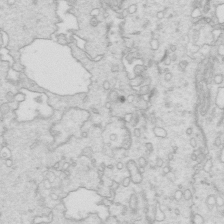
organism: Mouse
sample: Multiciliated cells